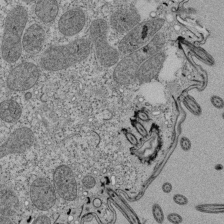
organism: Tetrahymena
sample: Cilia in tetrahymena